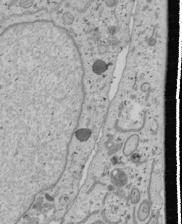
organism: Human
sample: Mitochondria in U2OS cells